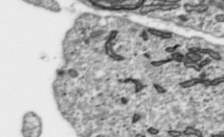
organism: Toxoplasma gondii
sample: Parasites in a vacuole inside a host cell